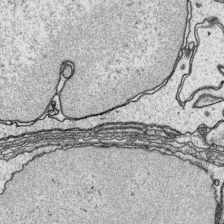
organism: Platynereis dumerilii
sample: Parapodia